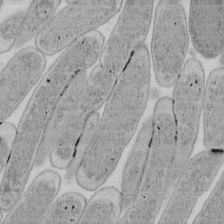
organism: E. coli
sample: Bacterial nucleoid